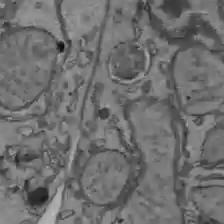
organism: C57BL Mouse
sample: Liver